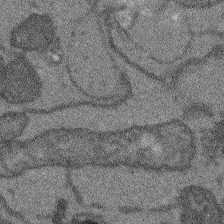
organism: Arabidopsis thaliana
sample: Root tip